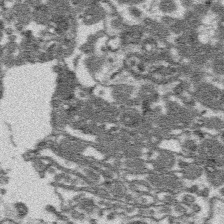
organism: Platynereis dumerilii